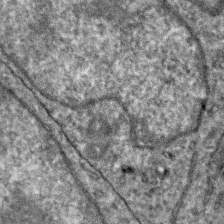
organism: Zebra finch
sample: Brain